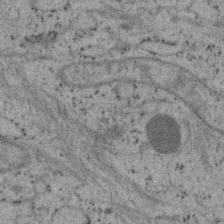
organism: Human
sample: HeLa cells